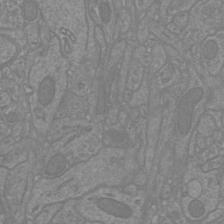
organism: Mouse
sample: Cortical neurons